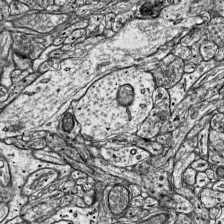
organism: Mouse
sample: Visual Cortex